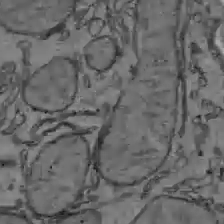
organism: C57BL Mouse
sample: Liver